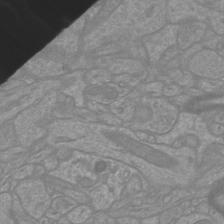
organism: Mouse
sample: Cortical neurons